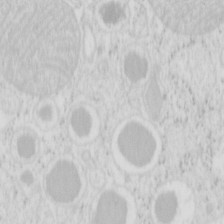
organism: Mouse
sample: Pancreas